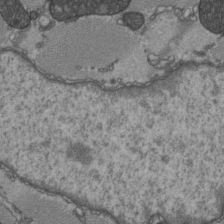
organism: C57BL Mouse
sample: Heart